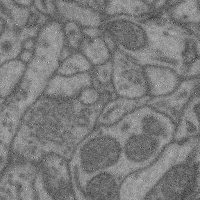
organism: Mouse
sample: Cerebral cortex